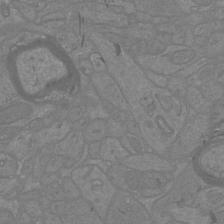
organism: Mouse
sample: Cortical neurons